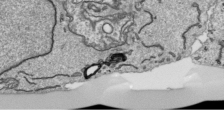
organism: Human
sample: Mitochondria in HCT116 cells